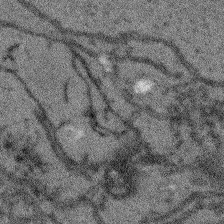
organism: Arabidopsis thaliana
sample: Root tip